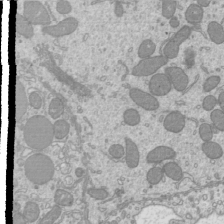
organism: Mouse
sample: Cilia; mouse epididymis